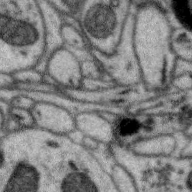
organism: Zebra finch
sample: Brain